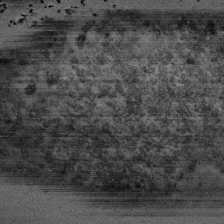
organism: Human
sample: Activated Jurkat CD4+ T cells